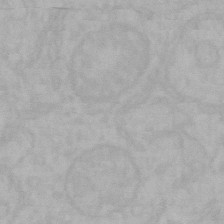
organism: Mouse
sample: Choroid plexus